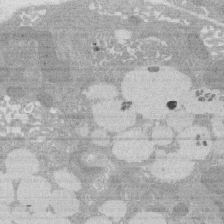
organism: Rat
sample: Salivary granule